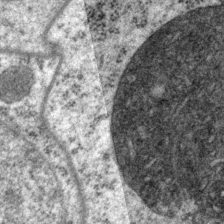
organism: P. pacificus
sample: Pharynx